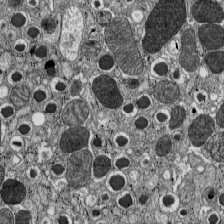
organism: C57BL Mouse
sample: Pancreatic islet